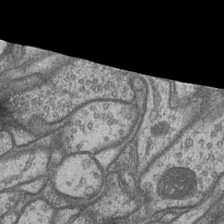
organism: Drosophila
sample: Optic medulla